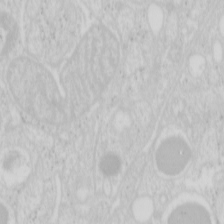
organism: Mouse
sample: Pancreas